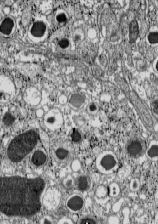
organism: C57BL Mouse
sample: Pancreatic islet